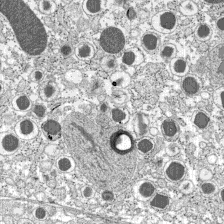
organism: C57BL Mouse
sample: Pancreatic islet